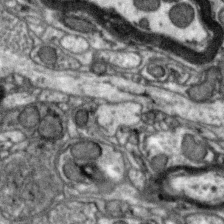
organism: Zebra finch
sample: Brain